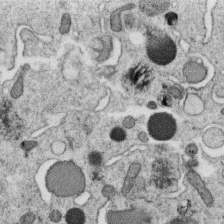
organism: C. elegans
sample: C. elegans oocyte; sperm cells